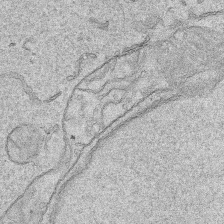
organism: Human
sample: Mitochondria in HCT116 cells